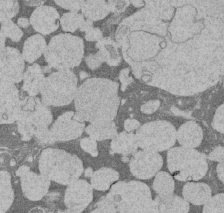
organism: Rat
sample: Salivary granule